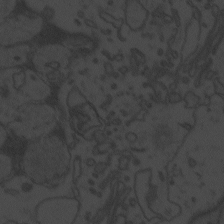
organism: Zebrafish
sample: Macrophage infected with Toxoplasma gondii